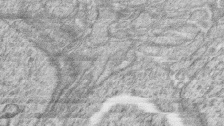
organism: Zebrafish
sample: synaptic ribbons in rod cells and cone cells